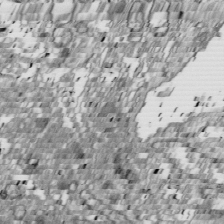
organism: Drosophila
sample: Cell division; meiosis; drosophila spermatocytes